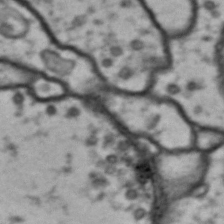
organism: Drosophila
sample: Brain